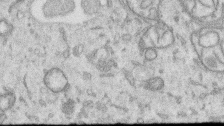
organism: Human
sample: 1205lu cells